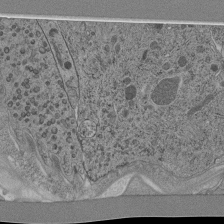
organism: C. elegans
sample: C. elegans pharynx